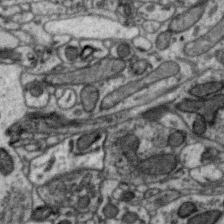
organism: Zebra finch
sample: Brain